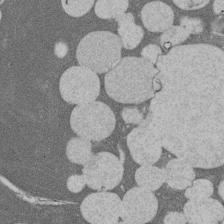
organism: Rat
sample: Salivary granule